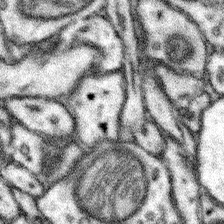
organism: Mouse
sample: Somatosensory cortex neuropil